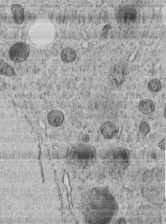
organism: C. elegans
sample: C. elegans embryo early stage